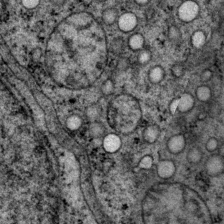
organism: P. pacificus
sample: Pharynx